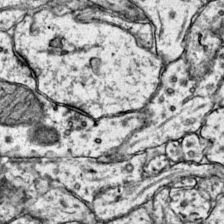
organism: Mouse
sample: Primary visual cortex